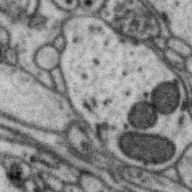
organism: Zebra finch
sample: Brain